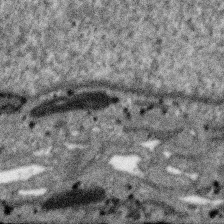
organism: Human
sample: Lung epithelial cells infected with SARS-CoV-2